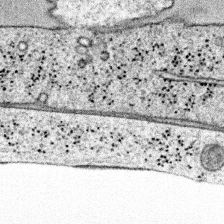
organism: Human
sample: HeLa cells